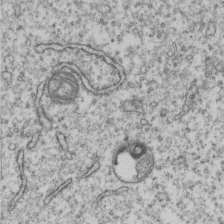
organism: Human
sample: MDA-MB-231 cells